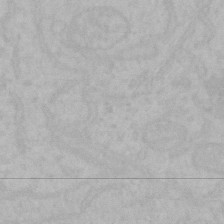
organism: Mouse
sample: Choroid plexus